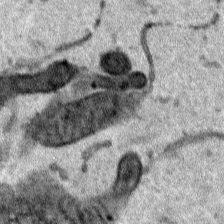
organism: Human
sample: Mitochondria in HCT116 cells